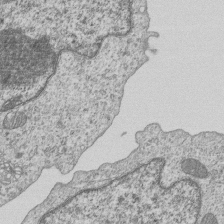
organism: Human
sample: MDA-MB-231 cells